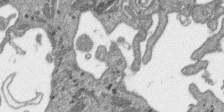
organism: Human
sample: Lung epithelial cells infected with SARS-CoV-2